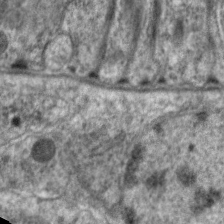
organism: C. elegans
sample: Pharynx